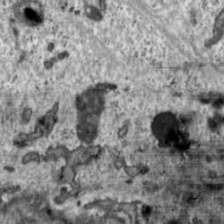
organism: Toxoplasma gondii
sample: Parasites in a vacuole inside a host cell